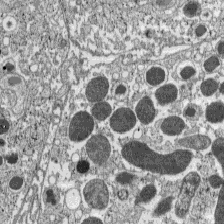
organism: C57BL Mouse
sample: Pancreatic islet